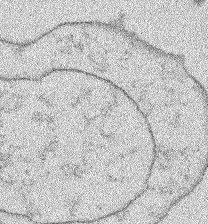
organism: Human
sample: HeLa cells